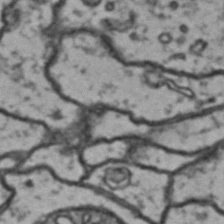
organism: Drosophila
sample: Brain